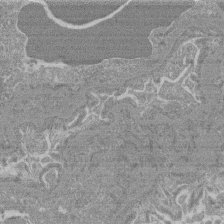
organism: Mouse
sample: Glomerulus